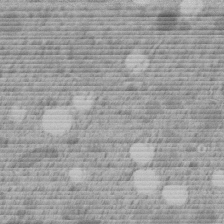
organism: C. elegans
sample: C. elegans embryo early stage